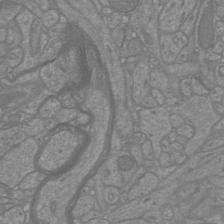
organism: Mouse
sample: Cortical neurons